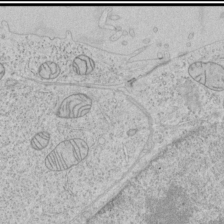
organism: Human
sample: Mitochondria in HCT116 cells